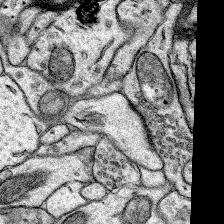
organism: Rat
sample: Hippocampus